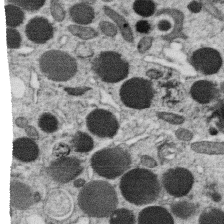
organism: C. elegans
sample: C. elegans oocyte; sperm cells